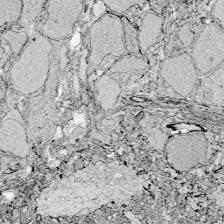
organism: Zebrafish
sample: Whole-Brain